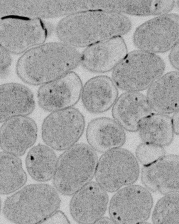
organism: E. coli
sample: Bacterial nucleoid